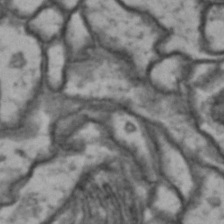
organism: Drosophila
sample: Brain